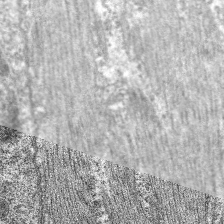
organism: C. elegans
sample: Pharynx